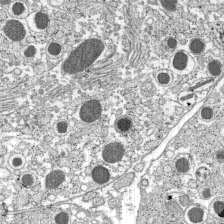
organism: C57BL Mouse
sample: Pancreatic islet